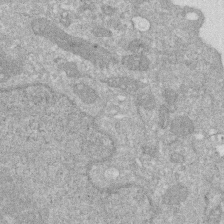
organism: Human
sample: HIV infected U937 cells